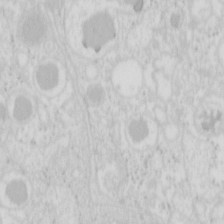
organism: Mouse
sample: Pancreas